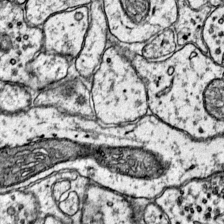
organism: Mouse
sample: Primary visual cortex